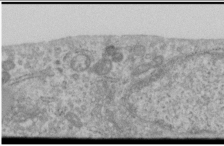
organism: Human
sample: Cilia; basal body in RPE cells